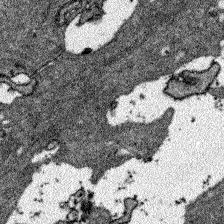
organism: Zebrafish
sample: Larval olfactory bulb